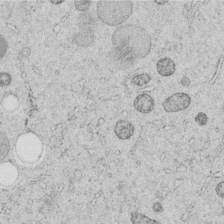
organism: C. elegans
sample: C. elegans embryo early stage